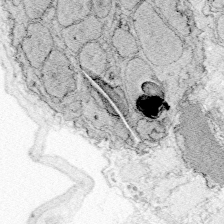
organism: Zebrafish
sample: Whole-Brain